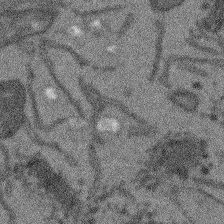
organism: Arabidopsis thaliana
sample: Root tip